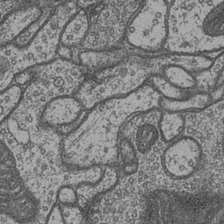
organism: Drosophila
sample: Optic medulla